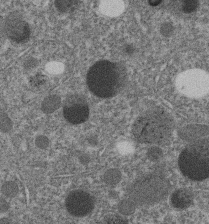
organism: C. elegans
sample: C. elegans embryo early stage